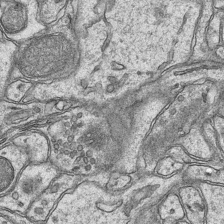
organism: Mouse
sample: CA1 Hippocampus